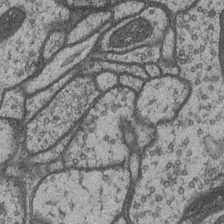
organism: Drosophila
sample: Optic medulla